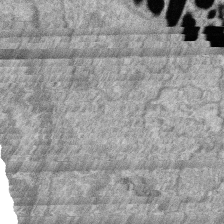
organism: Zebrafish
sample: Cilia; retinal pigment epithelium